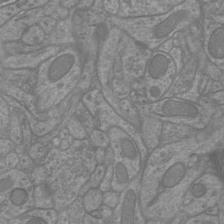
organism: Mouse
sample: Cortical neurons